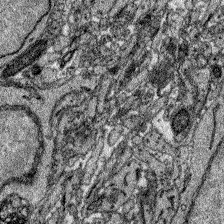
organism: Zebrafish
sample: Larval olfactory bulb